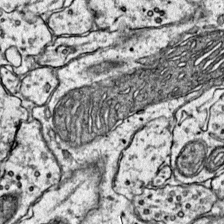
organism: Mouse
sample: Primary visual cortex